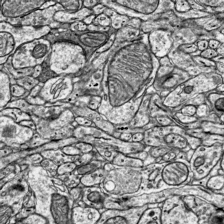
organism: Mouse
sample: Visual Cortex